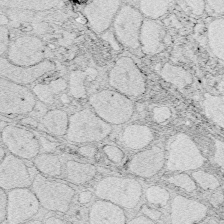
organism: Zebrafish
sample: Whole-Brain